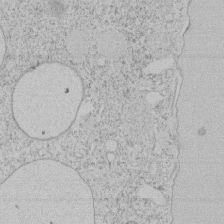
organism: Tetrahymena